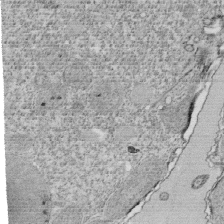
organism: Tetrahymena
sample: Cilia in tetrahymena